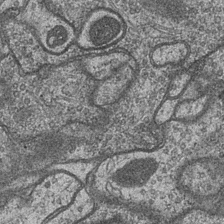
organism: Drosophila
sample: Optic medulla